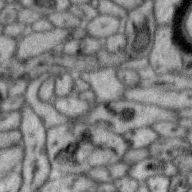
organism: Zebra finch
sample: Brain